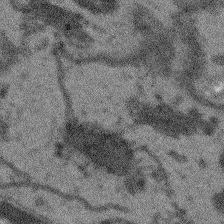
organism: Arabidopsis thaliana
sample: Root tip